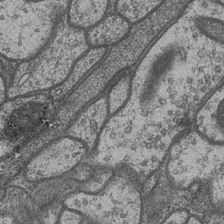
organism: Drosophila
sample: Optic medulla